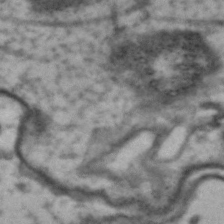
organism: Drosophila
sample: Brain